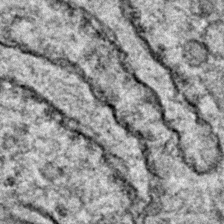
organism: Zebrafish